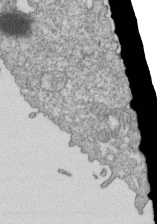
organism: Human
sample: HeLa cell HIV synapse